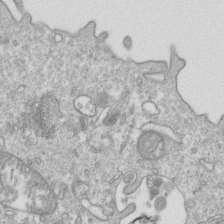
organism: Mouse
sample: Activated OT-1 CD8+ T cells